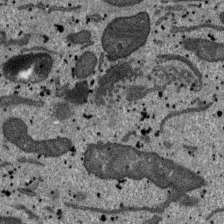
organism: Human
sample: Lung epithelial cells, uninfected (mock) control